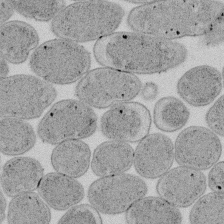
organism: E. coli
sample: Bacterial nucleoid